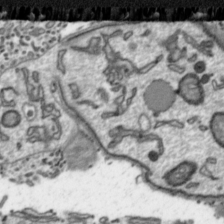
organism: Toxoplasma gondii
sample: Parasites in a vacuole inside a host cell